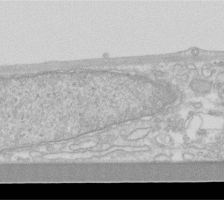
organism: Human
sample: Fibroblast cells